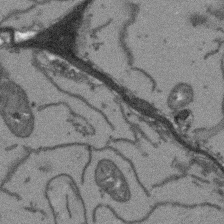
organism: Arabidopsis thaliana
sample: Root tip